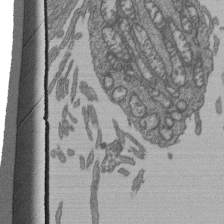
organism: Human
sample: Retinal organoid Rod and Cone cells